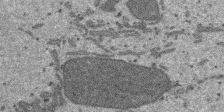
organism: Human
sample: Lung epithelial cells infected with SARS-CoV-2